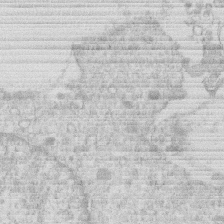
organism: Human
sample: Macrophage cells